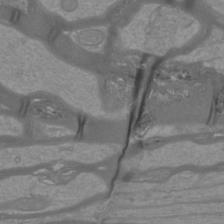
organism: Mouse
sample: Cortical neurons